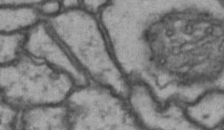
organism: Drosophila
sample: Brain